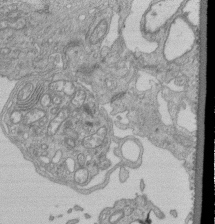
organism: Human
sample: Retinal organoid Rod and Cone cells